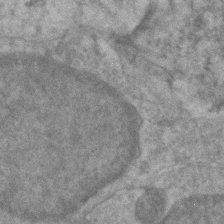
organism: Zebrafish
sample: Zebrafish embryo